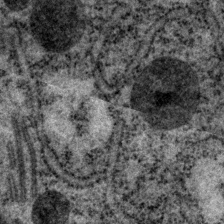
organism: P. pacificus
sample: Pharynx